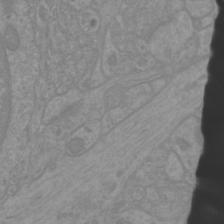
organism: Mouse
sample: Cortical neurons